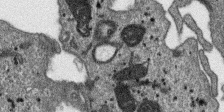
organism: Human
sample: Lung epithelial cells infected with SARS-CoV-2